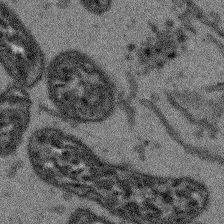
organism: Arabidopsis thaliana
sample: Root tip